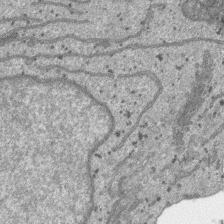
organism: Human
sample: Lung epithelial cells infected with SARS-CoV-2